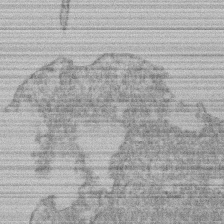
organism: Mouse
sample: T cell stromal cell synapse